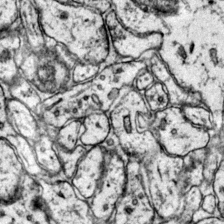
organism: Mouse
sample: Primary visual cortex